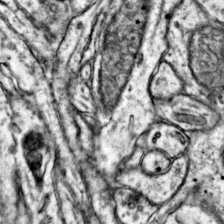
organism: Mouse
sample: Primary visual cortex